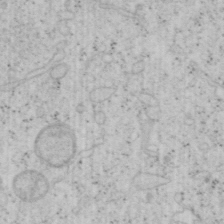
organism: Human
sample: HeLa cells